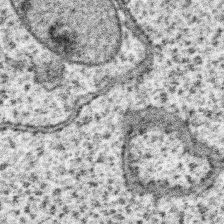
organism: Human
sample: HeLa cells